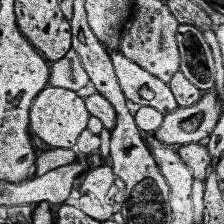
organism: Human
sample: Temporal Lobe